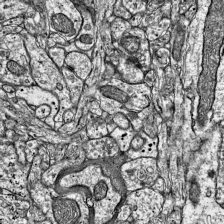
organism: Mouse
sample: Visual Cortex